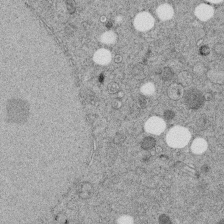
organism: C. elegans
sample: C. elegans embryo early stage